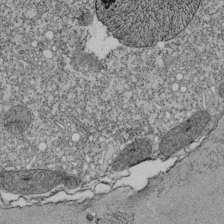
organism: Tetrahymena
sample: Cilia in tetrahymena